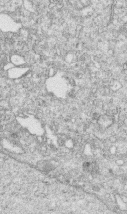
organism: Human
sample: HeLa cell HIV synapse